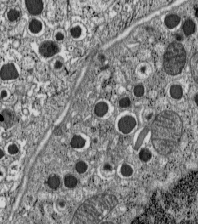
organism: C57BL Mouse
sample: Pancreatic islet